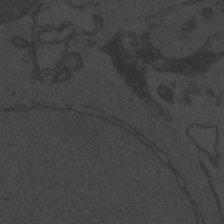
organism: Zebrafish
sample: Macrophage infected with Toxoplasma gondii